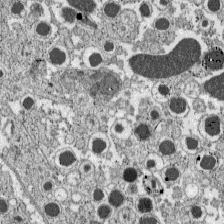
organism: C57BL Mouse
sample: Pancreatic islet